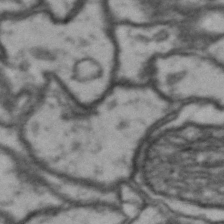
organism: Drosophila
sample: Brain